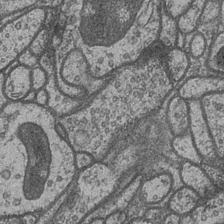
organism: Drosophila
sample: Optic medulla